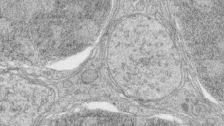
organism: Zebrafish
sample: synaptic ribbons in rod cells and cone cells